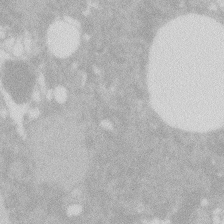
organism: Zebrafish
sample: Macrophage